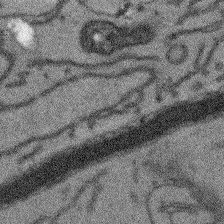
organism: Arabidopsis thaliana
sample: Root tip